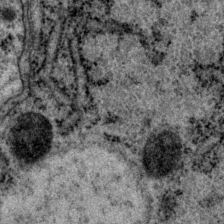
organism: P. pacificus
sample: Pharynx